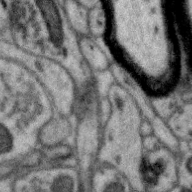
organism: Zebra finch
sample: Brain